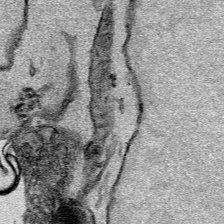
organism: Mouse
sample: Cancer cell death in ED-1 cells